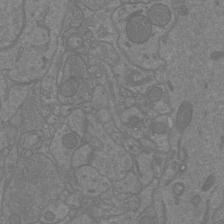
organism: Mouse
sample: Cortical neurons